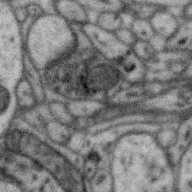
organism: Zebra finch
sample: Brain